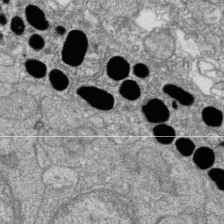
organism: Zebrafish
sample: Cilia; retinal pigment epithelium